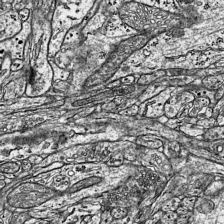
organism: Mouse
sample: Visual Cortex